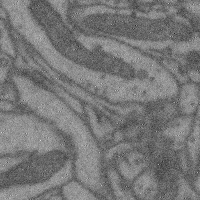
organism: Mouse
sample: Cerebral cortex